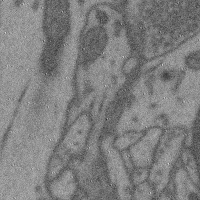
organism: Mouse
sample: Cerebral cortex